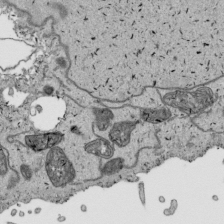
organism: Human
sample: Mitochondria in HCT116 cells